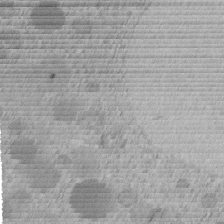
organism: C. elegans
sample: C. elegans embryo early stage